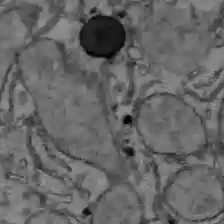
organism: C57BL Mouse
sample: Liver